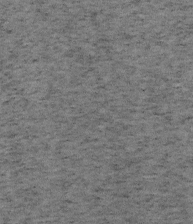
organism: Mouse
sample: OT-I killer T cells with ID8 ovarian cancer cells